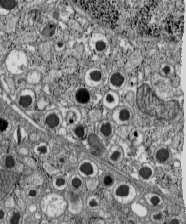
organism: C57BL Mouse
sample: Pancreatic islet